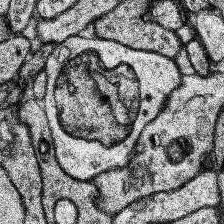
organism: Human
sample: Temporal Lobe